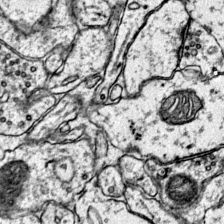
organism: Mouse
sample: Primary visual cortex